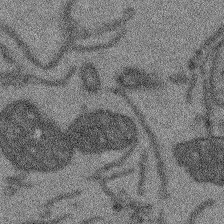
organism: Arabidopsis thaliana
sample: Root tip